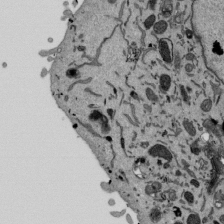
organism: Mouse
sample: ED-1 cell nuclei; centrioles